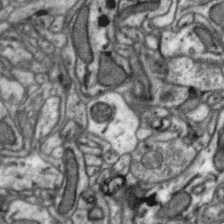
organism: Zebra finch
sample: Brain